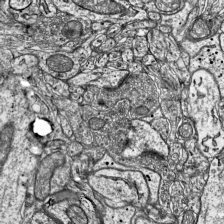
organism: Mouse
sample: Visual Cortex